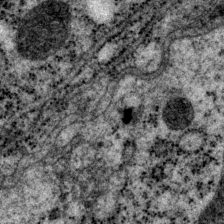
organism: P. pacificus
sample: Pharynx